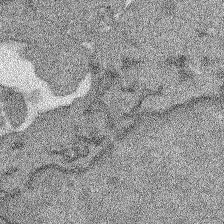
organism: Human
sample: HeLa cells